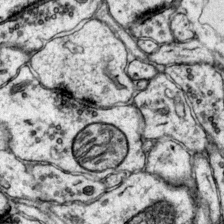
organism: Mouse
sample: Primary visual cortex